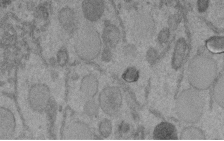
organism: C. elegans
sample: C. elegans embryo early stage